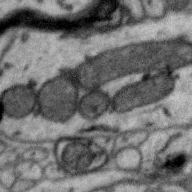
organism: Zebra finch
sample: Brain